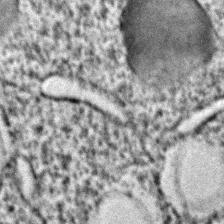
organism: C. elegans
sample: C. elegans embryo